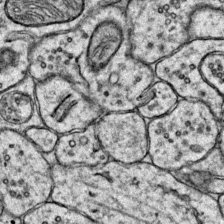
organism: Mouse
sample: Primary visual cortex